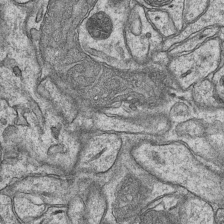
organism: Mouse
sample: CA1 Hippocampus